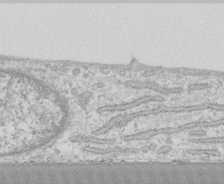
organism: Human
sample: CRL-1474